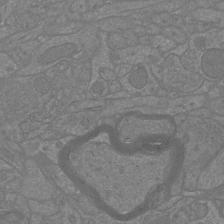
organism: Mouse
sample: Cortical neurons